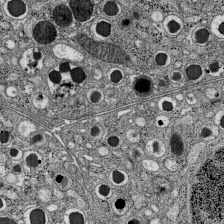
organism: C57BL Mouse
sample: Pancreatic islet